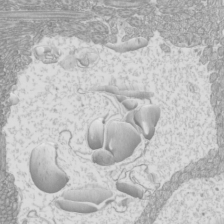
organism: Mouse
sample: Cilia; mouse epididymis